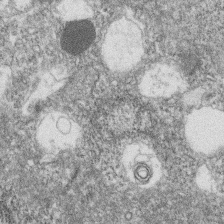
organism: Zebrafish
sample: Cilia; retinal pigment epithelium